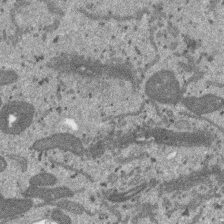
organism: Human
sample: Lung epithelial cells infected with SARS-CoV-2